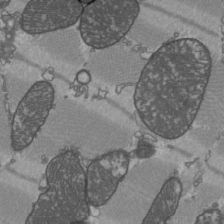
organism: C57BL Mouse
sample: Heart